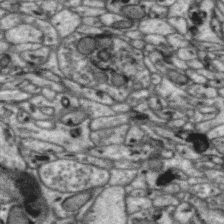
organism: Zebra finch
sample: Brain